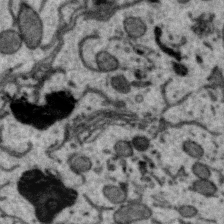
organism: Zebra finch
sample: Brain